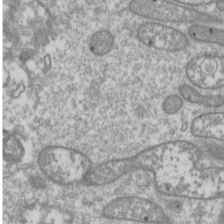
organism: Drosophila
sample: Cell division; meiosis; drosophila spermatocytes